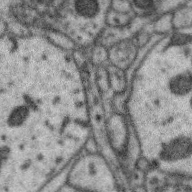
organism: Zebra finch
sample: Brain